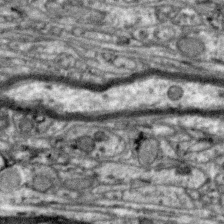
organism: Zebra finch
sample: Brain